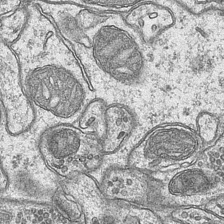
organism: Mouse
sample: CA1 Hippocampus